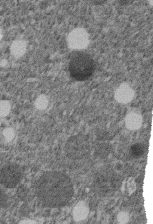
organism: C. elegans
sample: C. elegans embryo early stage